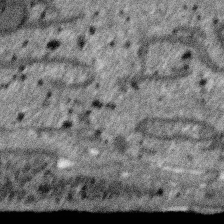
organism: Human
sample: Lung epithelial cells infected with SARS-CoV-2